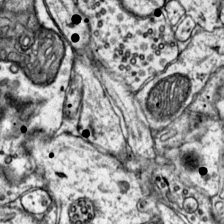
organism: Mouse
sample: Primary visual cortex